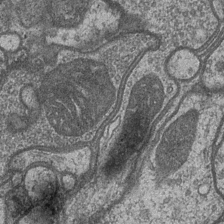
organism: Drosophila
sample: Optic medulla